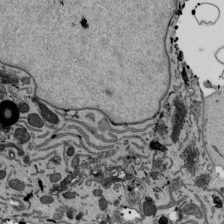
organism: Mouse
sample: ED-1 cell nuclei; centrioles